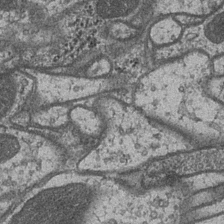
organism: Drosophila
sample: Optic medulla